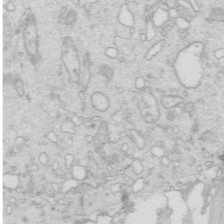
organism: Mouse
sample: Multiciliated cells